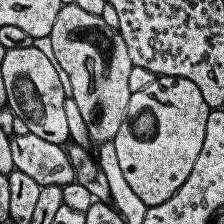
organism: Human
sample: Temporal Lobe